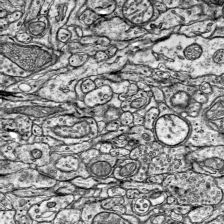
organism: Mouse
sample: Visual Cortex